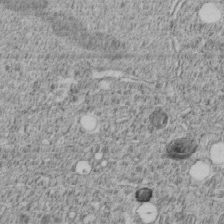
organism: C. elegans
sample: C. elegans embryo early stage